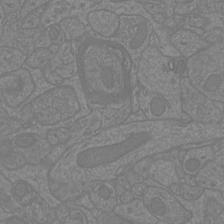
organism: Mouse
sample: Cortical neurons